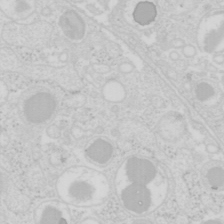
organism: Mouse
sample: Pancreas